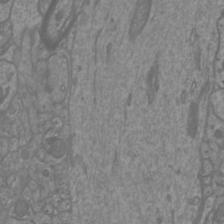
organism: Mouse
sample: Cortical neurons